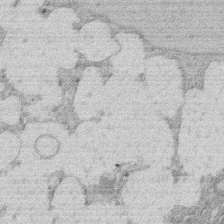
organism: Rat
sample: Salivary granule